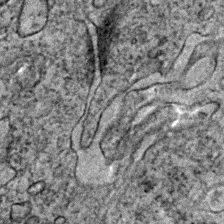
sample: Trachea